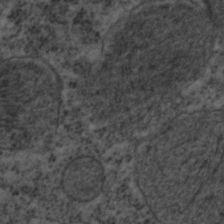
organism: C. elegans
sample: C. elegans embryo